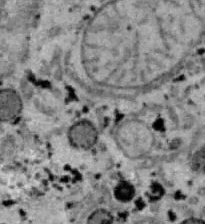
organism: Mouse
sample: Liver from an obese (ob/ob) mouse